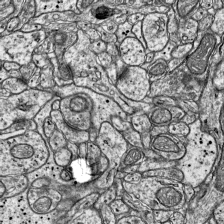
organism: Mouse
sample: Visual Cortex